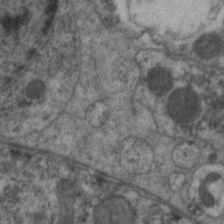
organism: C. elegans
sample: Pharynx